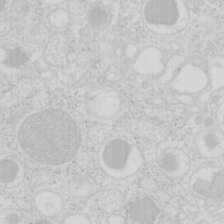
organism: Mouse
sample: Pancreas